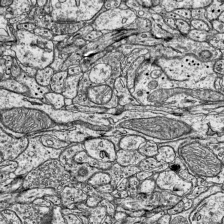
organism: Mouse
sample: Visual Cortex